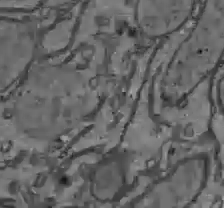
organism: C57BL Mouse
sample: Liver